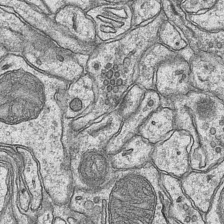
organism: Mouse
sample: CA1 Hippocampus